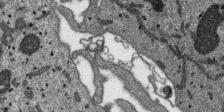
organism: Human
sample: Lung epithelial cells infected with SARS-CoV-2